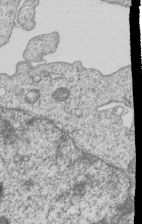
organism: Human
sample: MDA-MB-231 cells